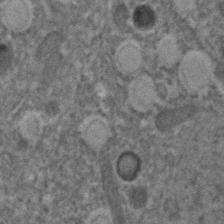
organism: C. elegans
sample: C. elegans embryo